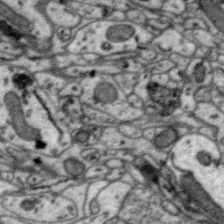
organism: Zebra finch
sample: Brain